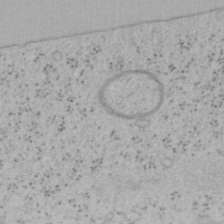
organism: Human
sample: HeLa cells